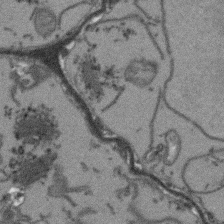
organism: Arabidopsis thaliana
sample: Root tip